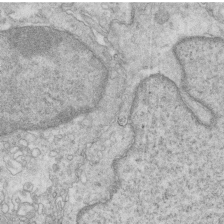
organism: Mouse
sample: Multiciliated cells